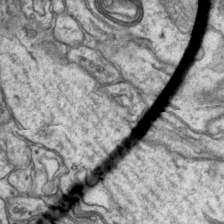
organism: Mouse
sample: CA1 Hippocampus